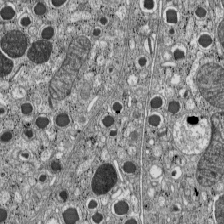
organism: C57BL Mouse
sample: Pancreatic islet